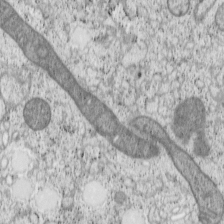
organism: African green monkey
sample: COS-7 cells